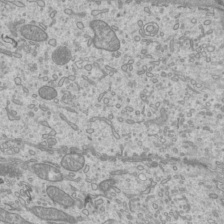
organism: Mouse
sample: Cilia; mouse epididymis